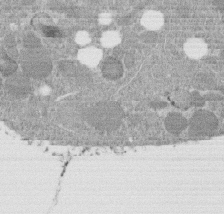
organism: C. elegans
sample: C. elegans embryo early stage